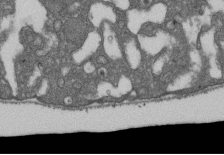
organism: Drosophila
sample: Nephrocyte